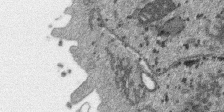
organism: Human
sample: Lung epithelial cells infected with SARS-CoV-2